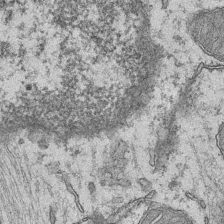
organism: Mouse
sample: CA1 Hippocampus